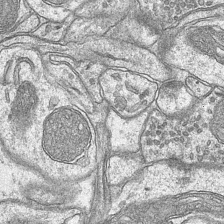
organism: Mouse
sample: CA1 Hippocampus